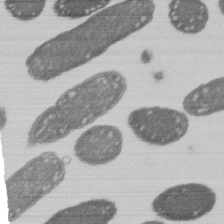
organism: E. coli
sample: Bacterial nucleoid